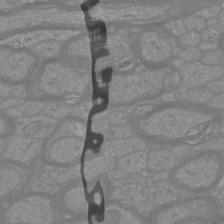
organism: Mouse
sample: Cortical neurons